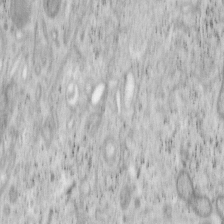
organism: Human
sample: HeLa cells